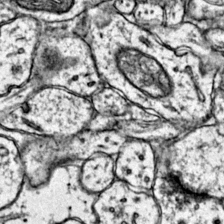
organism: Mouse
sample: Primary visual cortex